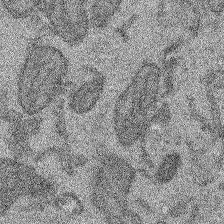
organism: Human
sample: HeLa cells